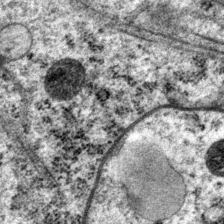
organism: P. pacificus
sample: Pharynx